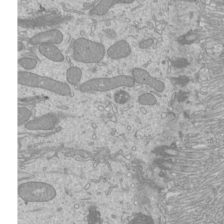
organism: Mouse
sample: Cilia; mouse epididymis